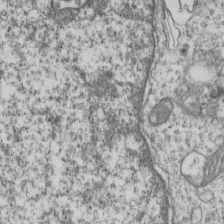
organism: Human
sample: MDA-MB-231 cells